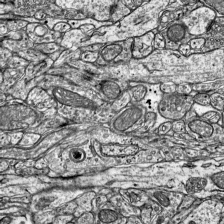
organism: Mouse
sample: Visual Cortex